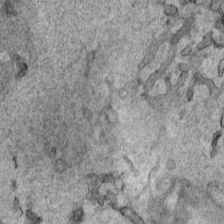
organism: Human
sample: Mitochondria in HCT116 cells